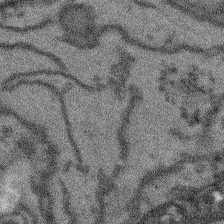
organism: Arabidopsis thaliana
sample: Root tip